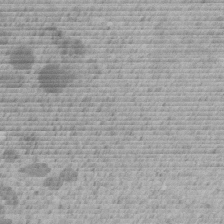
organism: C. elegans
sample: C. elegans embryo early stage